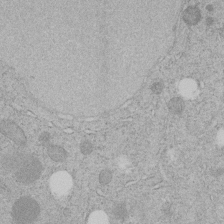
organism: C. elegans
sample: C. elegans embryo early stage